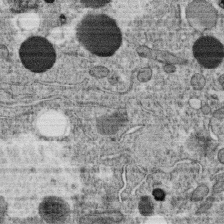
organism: C. elegans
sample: C. elegans oocyte; sperm cells